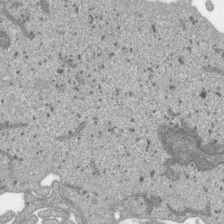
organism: Human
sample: Lung epithelial cells infected with SARS-CoV-2